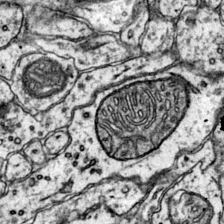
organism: Mouse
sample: Primary visual cortex